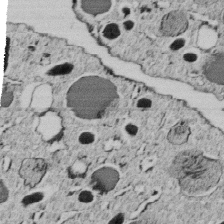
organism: C. elegans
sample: C. elegans embryo early stage